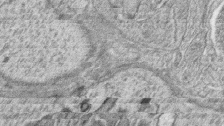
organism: Zebrafish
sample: synaptic ribbons in rod cells and cone cells